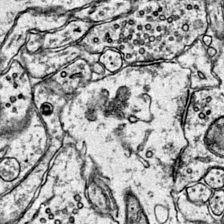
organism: Mouse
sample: Primary visual cortex